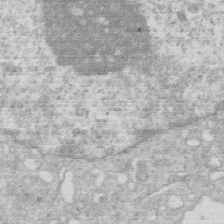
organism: Human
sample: Macrophage cells